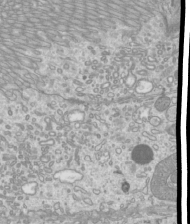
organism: Mouse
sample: Cilia; mouse epididymis